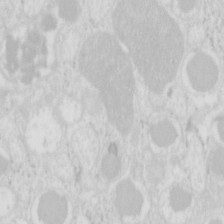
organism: Mouse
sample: Pancreas